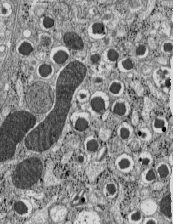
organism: C57BL Mouse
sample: Pancreatic islet